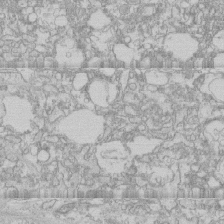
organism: Human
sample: CRL-1474